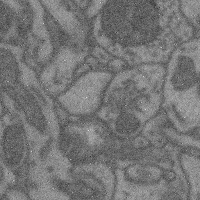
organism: Mouse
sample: Cerebral cortex